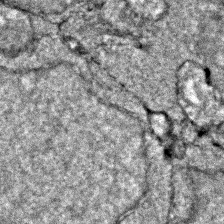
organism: Zebrafish